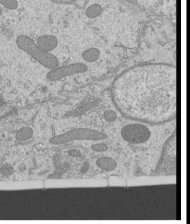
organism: Mouse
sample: Cilia; mouse epididymis